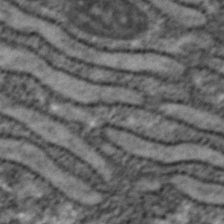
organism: Zebrafish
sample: Zebrafish embryo